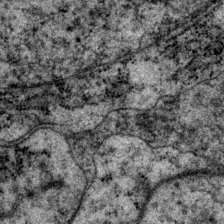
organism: P. pacificus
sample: Pharynx